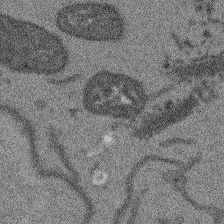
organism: Arabidopsis thaliana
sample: Root tip